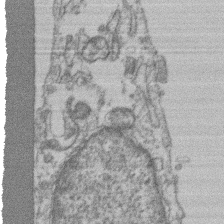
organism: Mouse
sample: T cell stromal cell synapse